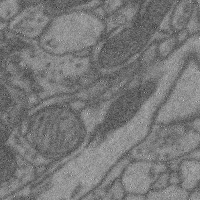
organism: Mouse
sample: Cerebral cortex